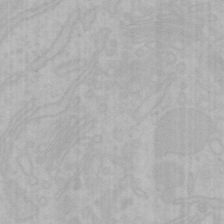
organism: Mouse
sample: Choroid plexus